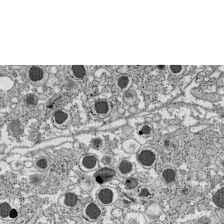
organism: C57BL Mouse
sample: Pancreatic islet